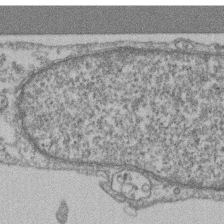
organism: Mouse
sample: T cell stromal cell synapse